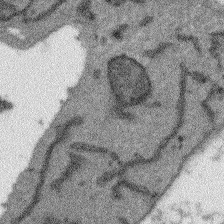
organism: Arabidopsis thaliana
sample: Root tip